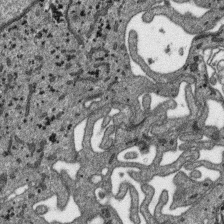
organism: Human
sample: Lung epithelial cells infected with SARS-CoV-2